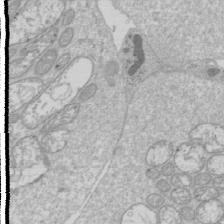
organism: Drosophila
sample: Cell division; meiosis; drosophila spermatocytes